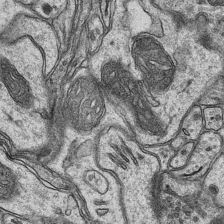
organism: Mouse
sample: CA1 Hippocampus